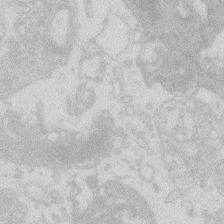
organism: Zebrafish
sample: Macrophage